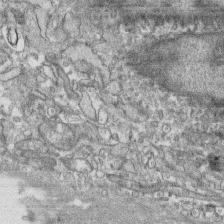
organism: Human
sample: CRL-1474